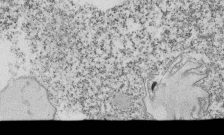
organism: Tetrahymena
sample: Cilia in tetrahymena